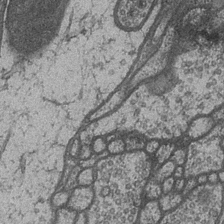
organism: Drosophila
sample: Optic medulla